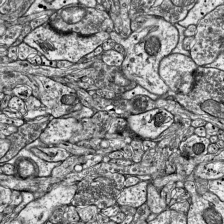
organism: Mouse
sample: Visual Cortex